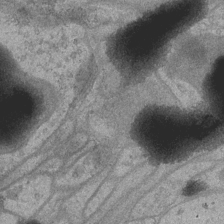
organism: Drosophila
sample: Optic medulla